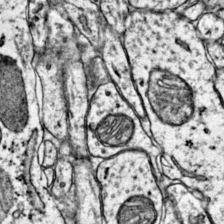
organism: Mouse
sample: Primary visual cortex